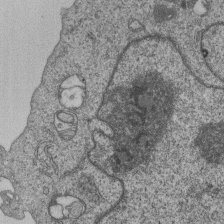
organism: Human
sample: MDA-MB-231 cells